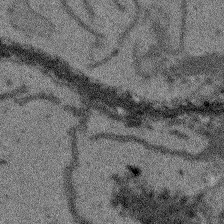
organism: Arabidopsis thaliana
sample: Root tip